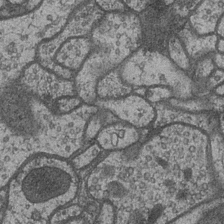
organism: Drosophila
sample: Optic medulla